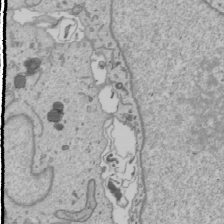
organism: Human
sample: Mitochondria in U2OS cells